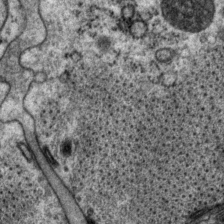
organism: P. pacificus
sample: Pharynx